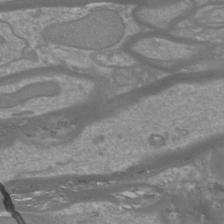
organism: Mouse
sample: Cortical neurons